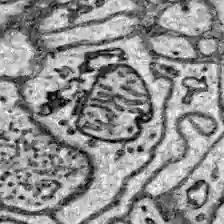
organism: Zebrafish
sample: Brain